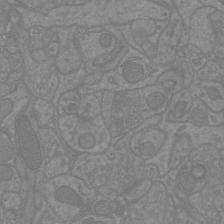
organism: Mouse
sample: Cortical neurons